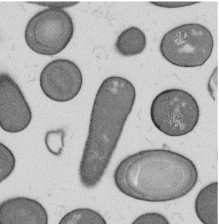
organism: B. subtilis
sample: Bacterial spore